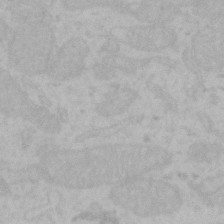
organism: Mouse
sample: Choroid plexus